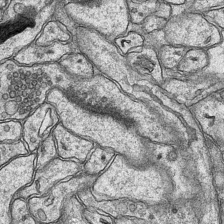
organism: Mouse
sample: CA1 Hippocampus